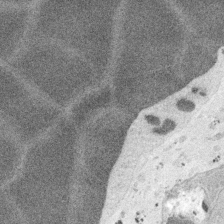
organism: Embia sp.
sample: Silk gland